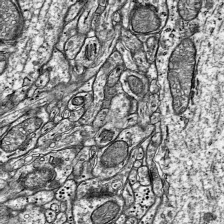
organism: Mouse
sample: Visual Cortex